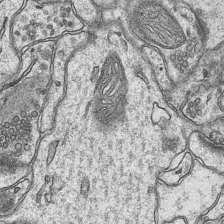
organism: Mouse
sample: CA1 Hippocampus